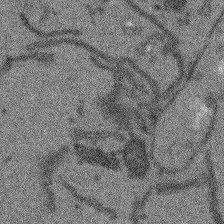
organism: Arabidopsis thaliana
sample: Root tip